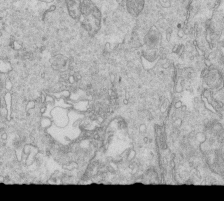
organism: Mouse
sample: Multiciliated cells